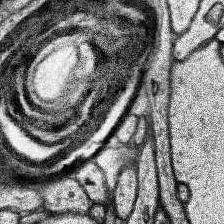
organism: Human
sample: Temporal Lobe